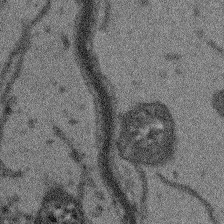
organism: Arabidopsis thaliana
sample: Root tip